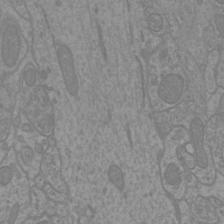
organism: Mouse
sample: Cortical neurons